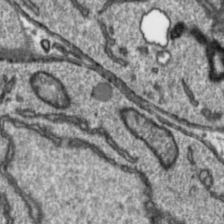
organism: Toxoplasma gondii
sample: Parasites in a vacuole inside a host cell